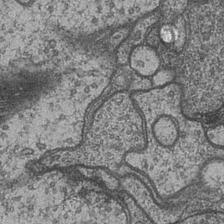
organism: Drosophila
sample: Optic medulla